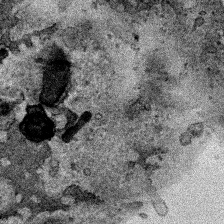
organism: Human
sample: Mitochondria in HCT116 cells